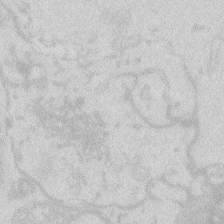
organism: Zebrafish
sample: Macrophage